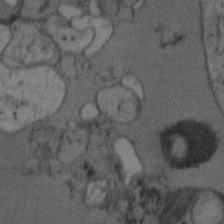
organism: Human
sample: HeLa cells